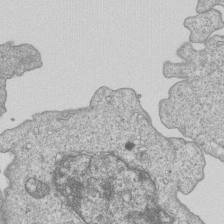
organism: Human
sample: MDA-MB-231 cells